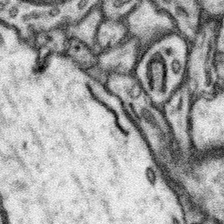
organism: Mouse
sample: Somatosensory cortex neuropil